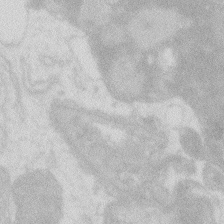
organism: Zebrafish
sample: Macrophage